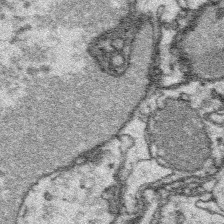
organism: Platynereis dumerilii